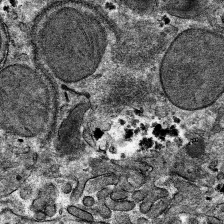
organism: Mouse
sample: Mouse hepatocytes